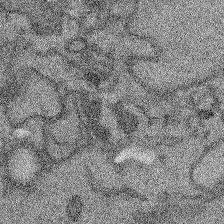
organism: Human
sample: HeLa cells